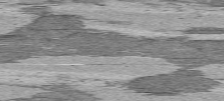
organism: C57BL Mouse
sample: Heart